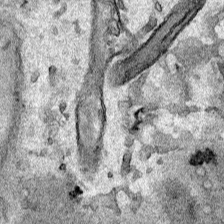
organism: Human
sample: Mitochondria in HCT116 cells